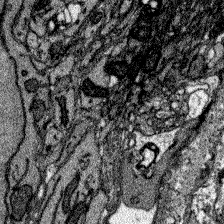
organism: Zebrafish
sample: Larval olfactory bulb